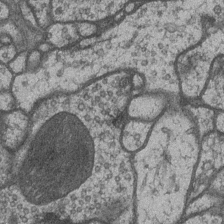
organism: Drosophila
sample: Optic medulla